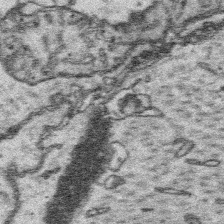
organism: Platynereis dumerilii